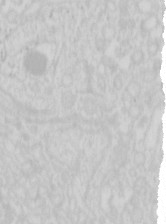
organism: Mouse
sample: Pancreas